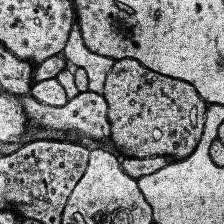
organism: Human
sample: Temporal Lobe